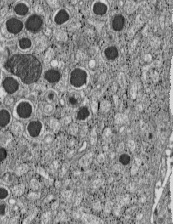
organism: C57BL Mouse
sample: Pancreatic islet